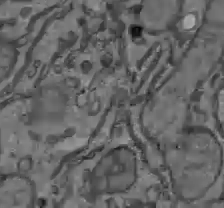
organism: C57BL Mouse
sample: Liver